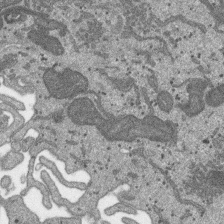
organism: Human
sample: Lung epithelial cells infected with SARS-CoV-2